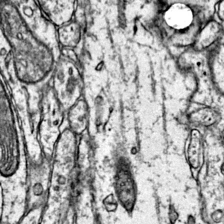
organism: Mouse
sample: Primary visual cortex